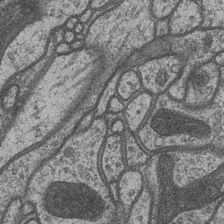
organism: Drosophila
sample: Optic medulla